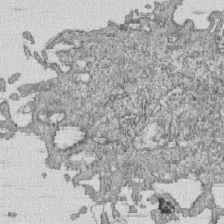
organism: Human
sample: HeLa cell HIV synapse